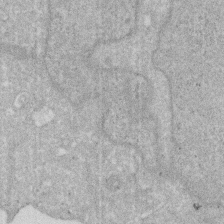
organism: Human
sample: HIV infected U937 cells